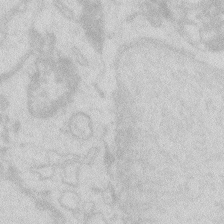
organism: Zebrafish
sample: Macrophage